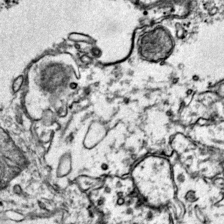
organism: Mouse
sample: Primary visual cortex